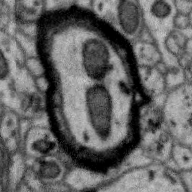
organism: Zebra finch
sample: Brain